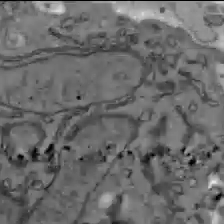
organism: C57BL Mouse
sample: Liver